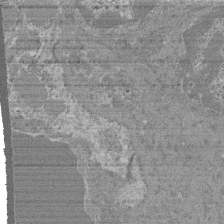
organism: Mouse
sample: Glomerulus